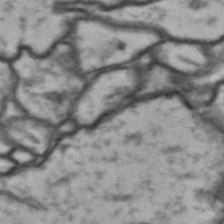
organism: Drosophila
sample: Brain